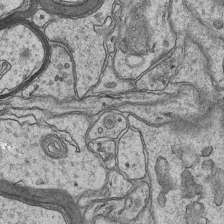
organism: Mouse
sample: CA1 Hippocampus